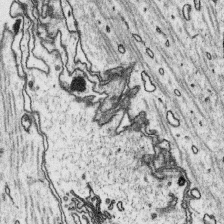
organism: Platynereis dumerilii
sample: Parapodia